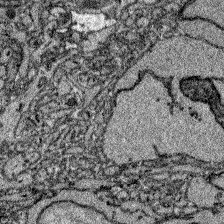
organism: Zebrafish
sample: Larval olfactory bulb